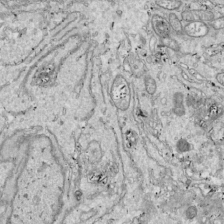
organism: Drosophila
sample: Cell division; meiosis; drosophila spermatocytes